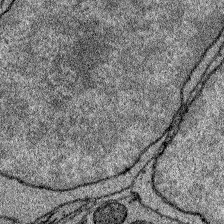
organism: Zebrafish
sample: Larval olfactory bulb